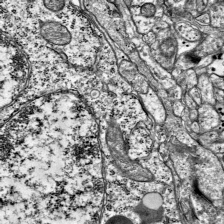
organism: Mouse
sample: Visual Cortex